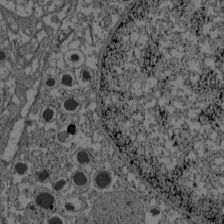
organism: C57BL Mouse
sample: Pancreatic islet